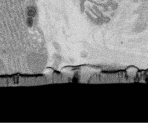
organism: Rat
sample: Salivary granule